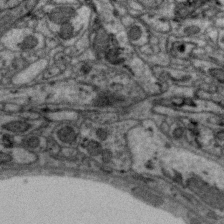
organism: Zebra finch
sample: Brain